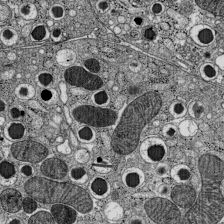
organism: C57BL Mouse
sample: Pancreatic islet